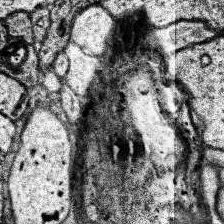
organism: Human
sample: Temporal Lobe